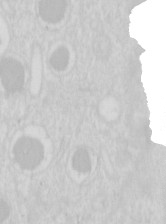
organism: Mouse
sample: Pancreas